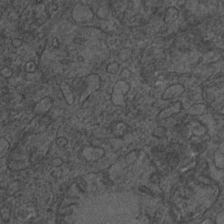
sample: Trachea